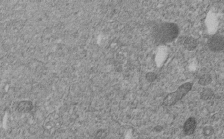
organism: C. elegans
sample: C. elegans embryo early stage